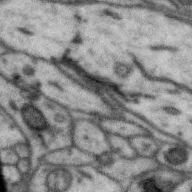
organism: Zebra finch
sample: Brain